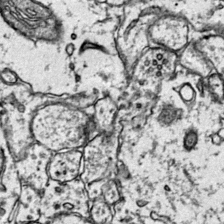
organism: Mouse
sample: Primary visual cortex